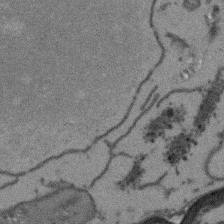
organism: Arabidopsis thaliana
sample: Root tip